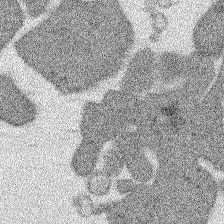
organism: Human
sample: HeLa cells